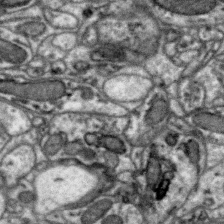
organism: Zebra finch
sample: Brain